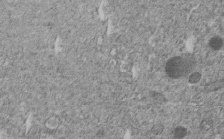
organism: C. elegans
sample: C. elegans embryo early stage